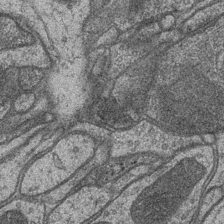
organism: Drosophila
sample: Optic medulla